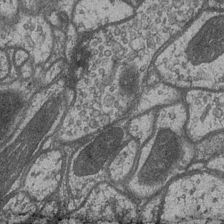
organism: Drosophila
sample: Optic medulla